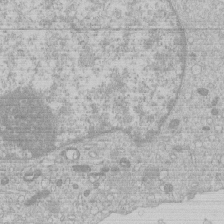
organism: Human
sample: Macrophage cells